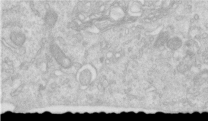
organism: Human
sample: Centriole in RPE cells